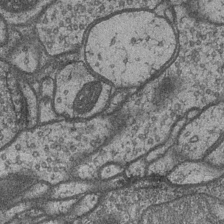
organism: Drosophila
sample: Optic medulla